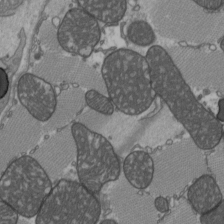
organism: C57BL Mouse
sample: Heart